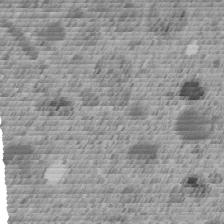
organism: C. elegans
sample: C. elegans embryo early stage